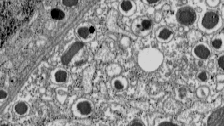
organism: C57BL Mouse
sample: Pancreatic islet